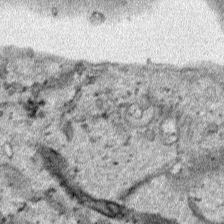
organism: Human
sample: Mitochondria in HCT116 cells